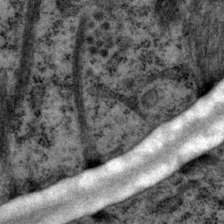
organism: P. pacificus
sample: Pharynx